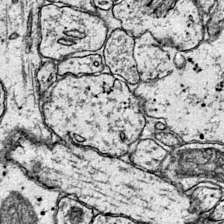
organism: Mouse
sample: Primary visual cortex